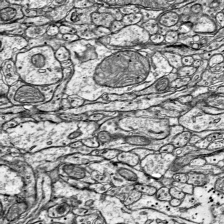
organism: Mouse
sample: Visual Cortex